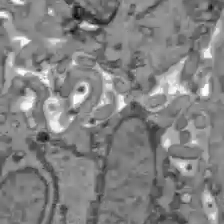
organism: C57BL Mouse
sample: Liver